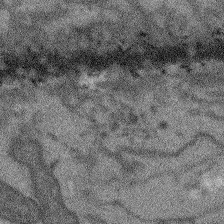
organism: Arabidopsis thaliana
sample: Root tip